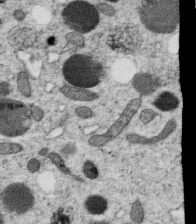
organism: C. elegans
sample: C. elegans oocyte; sperm cells